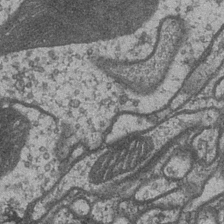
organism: Drosophila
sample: Optic medulla